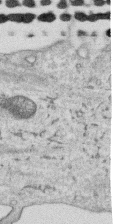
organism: Human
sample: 1205lu cells